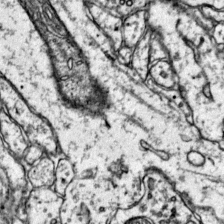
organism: Mouse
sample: Primary visual cortex